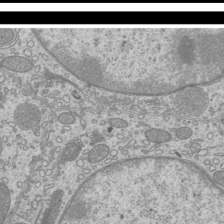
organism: Mouse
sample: Cilia; mouse epididymis